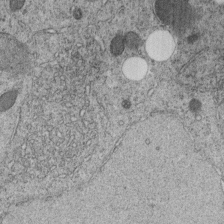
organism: C. elegans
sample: C. elegans embryo early stage